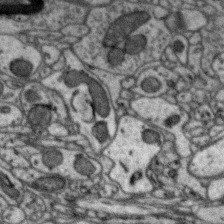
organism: Zebra finch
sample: Brain